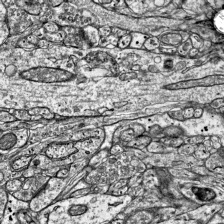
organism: Mouse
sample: Visual Cortex